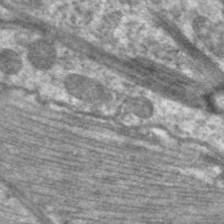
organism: C. elegans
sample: Pharynx